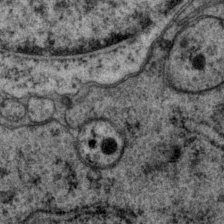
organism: P. pacificus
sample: Pharynx